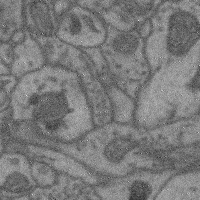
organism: Mouse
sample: Cerebral cortex